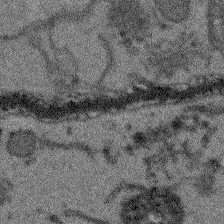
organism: Arabidopsis thaliana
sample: Root tip